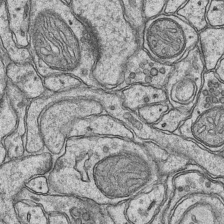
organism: Mouse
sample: CA1 Hippocampus